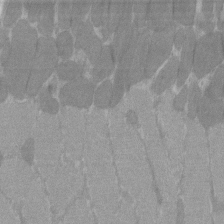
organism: C57BL Mouse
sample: Tibialis anterior muscle cell